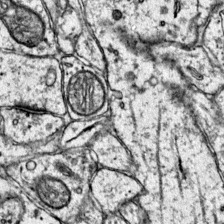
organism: Mouse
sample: Primary visual cortex